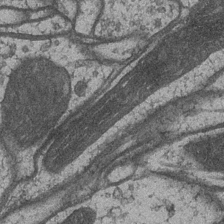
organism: Drosophila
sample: Optic medulla